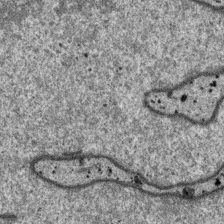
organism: Human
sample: Lung epithelial cells, uninfected (mock) control